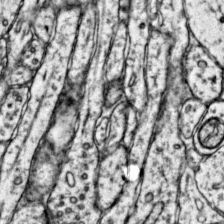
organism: Mouse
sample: Primary visual cortex